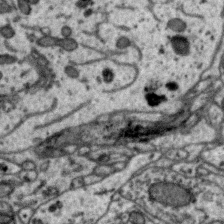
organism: Zebra finch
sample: Brain